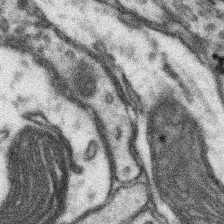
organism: Mouse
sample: Somatosensory cortex neuropil